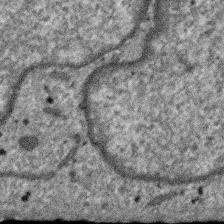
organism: Human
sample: Lung epithelial cells infected with SARS-CoV-2